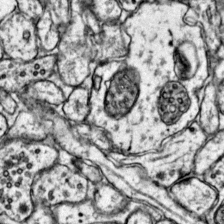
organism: Mouse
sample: Primary visual cortex